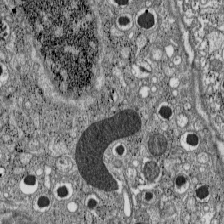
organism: C57BL Mouse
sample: Pancreatic islet